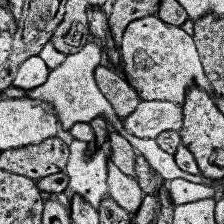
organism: Human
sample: Temporal Lobe